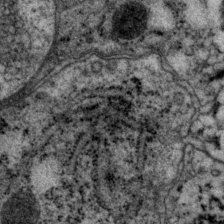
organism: P. pacificus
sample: Pharynx